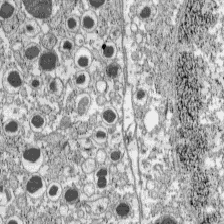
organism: C57BL Mouse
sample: Pancreatic islet